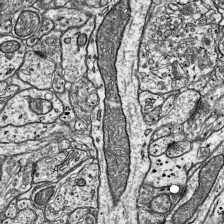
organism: Mouse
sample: Visual Cortex